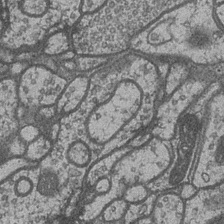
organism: Drosophila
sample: Optic medulla